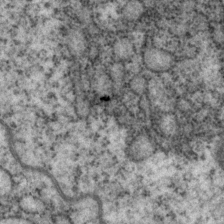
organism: P. pacificus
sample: Pharynx